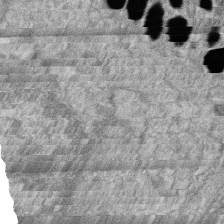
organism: Zebrafish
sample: Cilia; retinal pigment epithelium